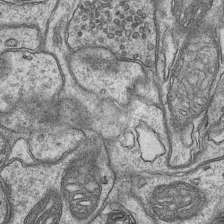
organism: Mouse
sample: CA1 Hippocampus